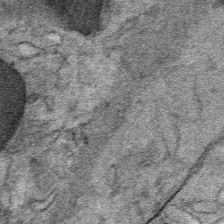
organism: Mouse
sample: Mouse Salivary gland